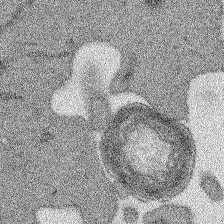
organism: Human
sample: HeLa cells